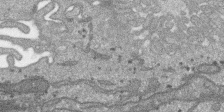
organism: Human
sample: Lung epithelial cells infected with SARS-CoV-2